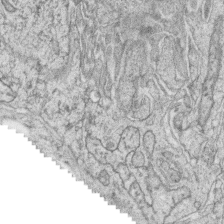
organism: Zebrafish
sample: synaptic ribbons in rod cells and cone cells